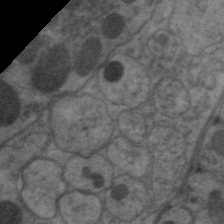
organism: C. elegans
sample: Pharynx